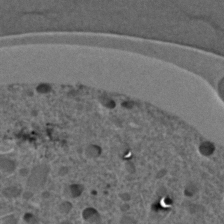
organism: C. elegans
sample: C. elegans embryo